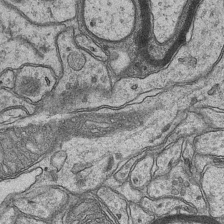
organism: Mouse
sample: CA1 Hippocampus